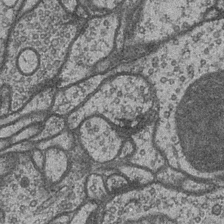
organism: Drosophila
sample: Optic medulla